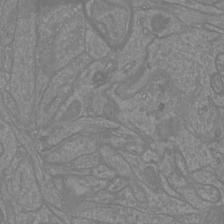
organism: Mouse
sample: Cortical neurons